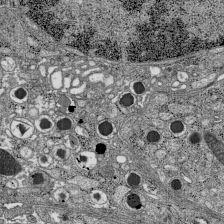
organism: C57BL Mouse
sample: Pancreatic islet